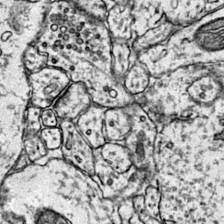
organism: Mouse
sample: Primary visual cortex